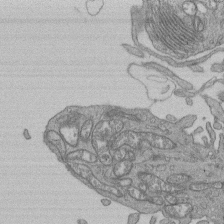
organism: Human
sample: Retinal organoid Rod and Cone cells